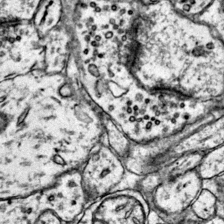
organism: Mouse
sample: Primary visual cortex